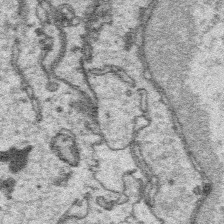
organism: Platynereis dumerilii